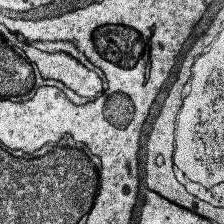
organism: Human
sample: Temporal Lobe